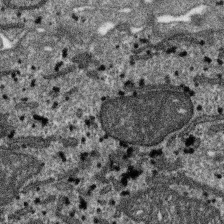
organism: Human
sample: Lung epithelial cells infected with SARS-CoV-2